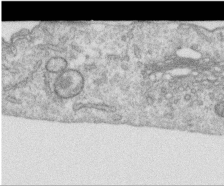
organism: Human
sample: Centriole in RPE cells